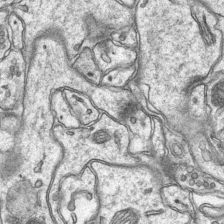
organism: Mouse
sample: CA1 Hippocampus